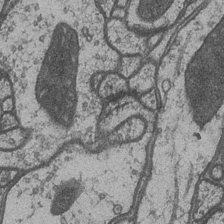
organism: Drosophila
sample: Optic medulla